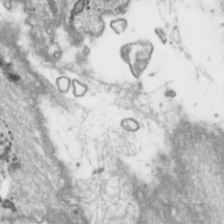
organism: Toxoplasma gondii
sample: Parasites in a vacuole inside a host cell